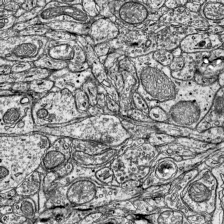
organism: Mouse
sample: Visual Cortex